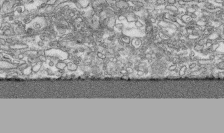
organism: Human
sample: CRL-1474